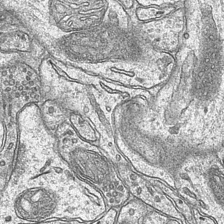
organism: Mouse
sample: CA1 Hippocampus